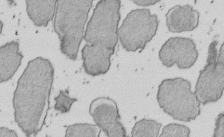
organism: E. coli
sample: Bacterial nucleoid